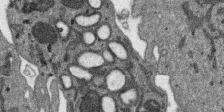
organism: Human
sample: Lung epithelial cells infected with SARS-CoV-2